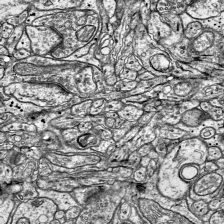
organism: Mouse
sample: Visual Cortex